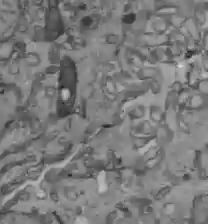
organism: C57BL Mouse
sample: Liver